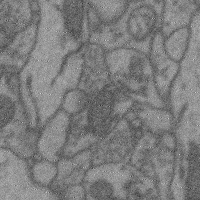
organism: Mouse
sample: Cerebral cortex